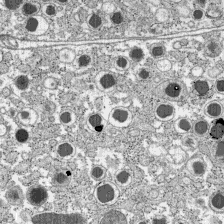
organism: C57BL Mouse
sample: Pancreatic islet